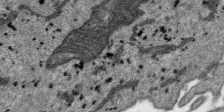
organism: Human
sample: Lung epithelial cells, uninfected (mock) control